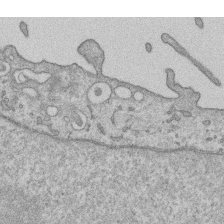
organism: Human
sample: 1205lu cells